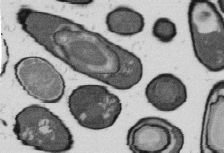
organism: B. subtilis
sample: Bacterial spore